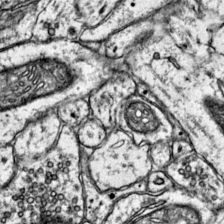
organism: Mouse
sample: Primary visual cortex